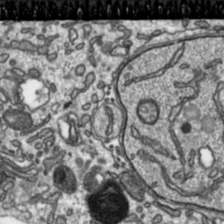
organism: Toxoplasma gondii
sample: Parasites in a vacuole inside a host cell